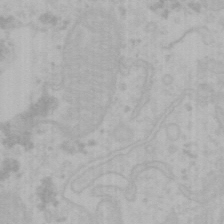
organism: Mouse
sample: Choroid plexus